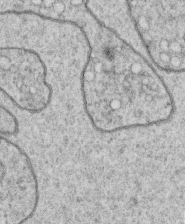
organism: C. elegans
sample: C. elegans oocyte; sperm cells